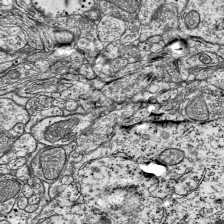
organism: Mouse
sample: Visual Cortex